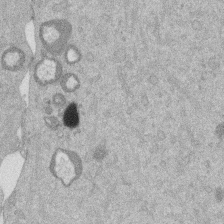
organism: Mouse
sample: Dividing mouse embryo 1 cell stage